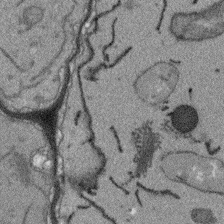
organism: Arabidopsis thaliana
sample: Root tip